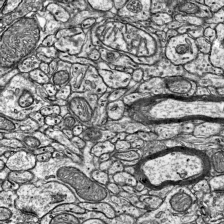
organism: Mouse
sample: Visual Cortex